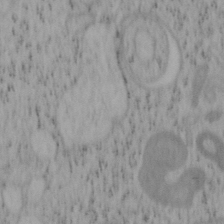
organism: Mouse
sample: OT-I killer T cells with ID8 ovarian cancer cells